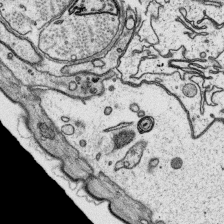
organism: Platynereis dumerilii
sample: Parapodia